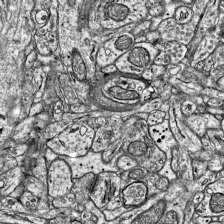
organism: Mouse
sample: Visual Cortex